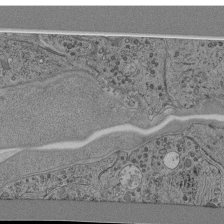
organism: C. elegans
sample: C. elegans pharynx